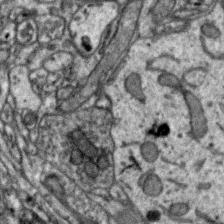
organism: Zebra finch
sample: Brain